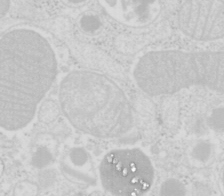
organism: Mouse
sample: Pancreas